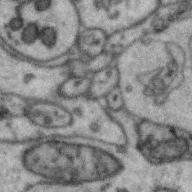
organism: Zebra finch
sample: Brain